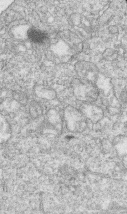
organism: Human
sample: HeLa cell HIV synapse